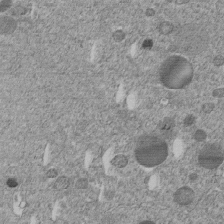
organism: C. elegans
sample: C. elegans embryo early stage